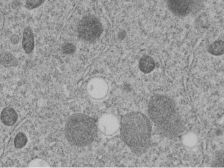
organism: C. elegans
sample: C. elegans embryo early stage